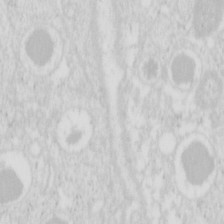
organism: Mouse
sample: Pancreas